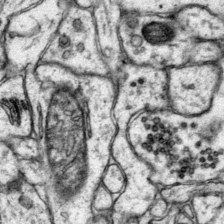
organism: Mouse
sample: Primary visual cortex